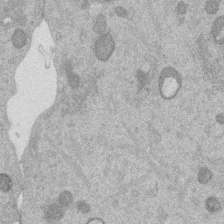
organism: Mouse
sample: Dividing mouse embryo 1 cell stage